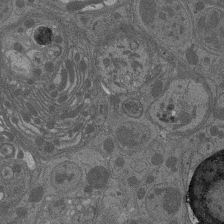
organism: Drosophila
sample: Antenna